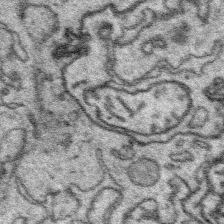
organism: Platynereis dumerilii